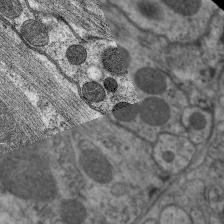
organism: C. elegans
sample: Pharynx